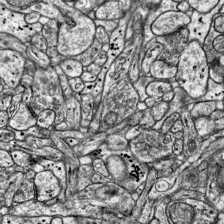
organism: Mouse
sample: Visual Cortex